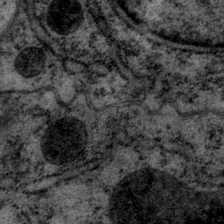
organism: P. pacificus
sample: Pharynx